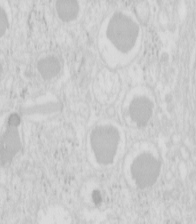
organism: Mouse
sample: Pancreas